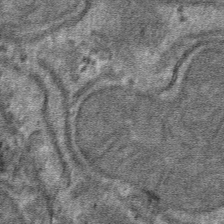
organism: Mouse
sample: Mouse hepatocytes